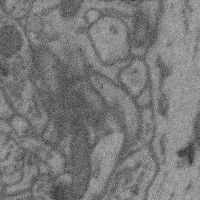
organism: Mouse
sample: Cerebral cortex